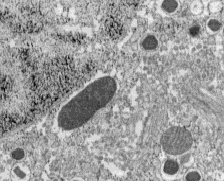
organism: C57BL Mouse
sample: Pancreatic islet